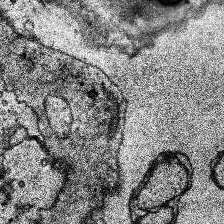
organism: Human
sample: Temporal Lobe